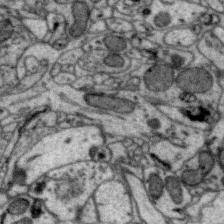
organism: Zebra finch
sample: Brain